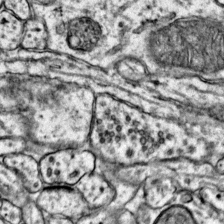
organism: Mouse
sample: Primary visual cortex